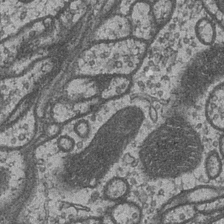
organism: Drosophila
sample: Optic medulla